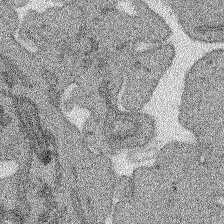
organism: Human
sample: HeLa cells